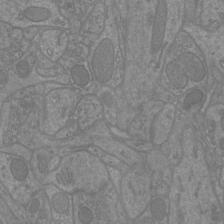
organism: Mouse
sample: Cortical neurons